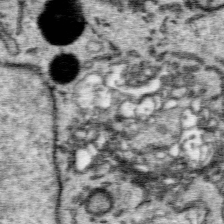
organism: Human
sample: HeLa cells